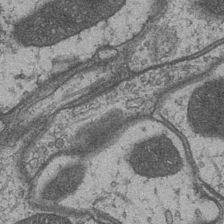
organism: Drosophila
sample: Optic medulla